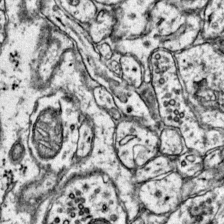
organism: Mouse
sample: Primary visual cortex